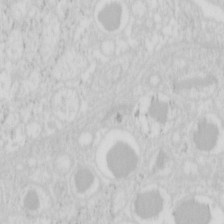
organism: Mouse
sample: Pancreas